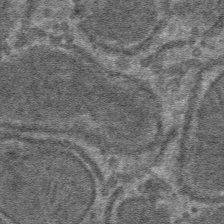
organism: Mouse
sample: Mouse hepatocytes